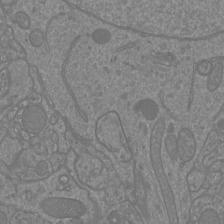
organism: Mouse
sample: Cortical neurons